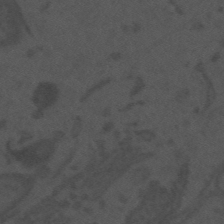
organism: Mouse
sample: Suprachiasmatic nucleus